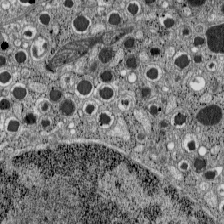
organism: C57BL Mouse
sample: Pancreatic islet